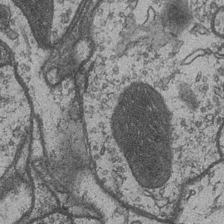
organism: Drosophila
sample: Optic medulla